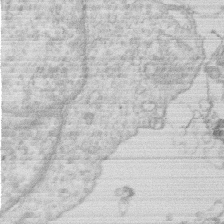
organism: Human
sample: Macrophage cells